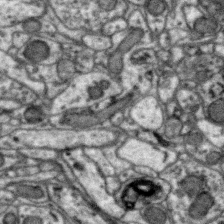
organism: Zebra finch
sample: Brain